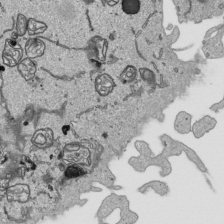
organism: Human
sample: Mitochondria in HCT116 cells